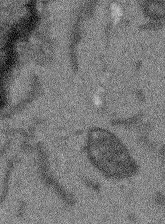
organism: Arabidopsis thaliana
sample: Root tip